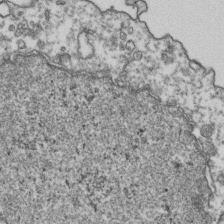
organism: Human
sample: Activated Jurkat CD4+ T cells